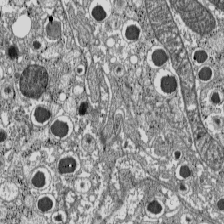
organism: C57BL Mouse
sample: Pancreatic islet